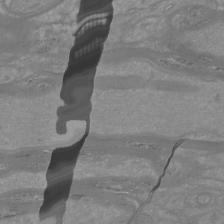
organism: Mouse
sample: Cortical neurons